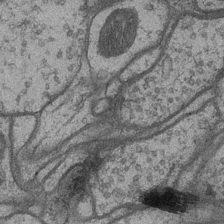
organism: Drosophila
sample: Optic medulla